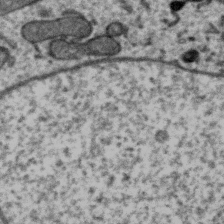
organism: Zebra finch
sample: Brain